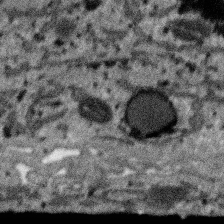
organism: Human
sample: Lung epithelial cells infected with SARS-CoV-2